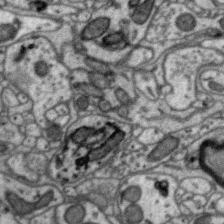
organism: Zebra finch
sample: Brain